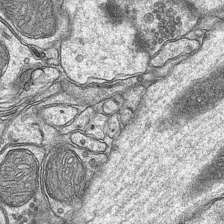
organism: Mouse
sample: CA1 Hippocampus